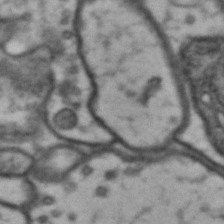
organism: Drosophila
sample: Brain